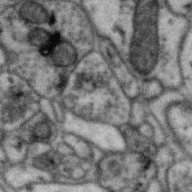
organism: Zebra finch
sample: Brain